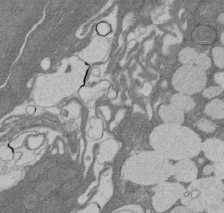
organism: Rat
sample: Salivary granule